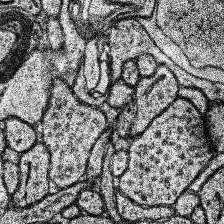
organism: Human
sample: Temporal Lobe